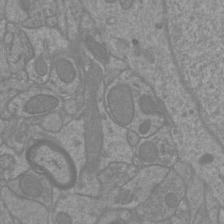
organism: Mouse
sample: Cortical neurons